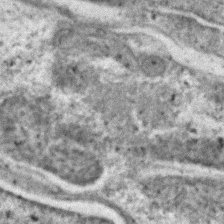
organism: C. elegans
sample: C. elegans embryo